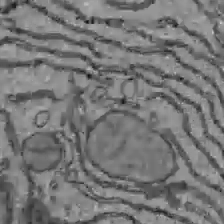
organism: C57BL Mouse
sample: Liver